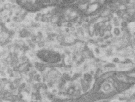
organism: Human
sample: Centriole in RPE cells